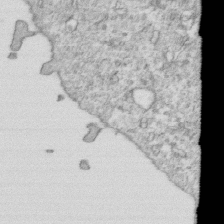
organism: Mouse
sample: Activated OT-1 CD8+ T cells